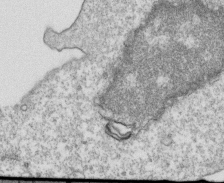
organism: Mouse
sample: Activated OT-1 CD8+ T cells